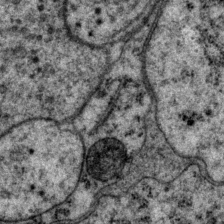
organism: P. pacificus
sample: Pharynx